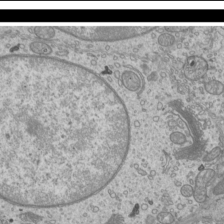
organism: Mouse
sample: Cilia; mouse epididymis